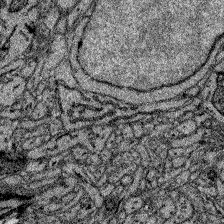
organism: Zebrafish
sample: Larval olfactory bulb